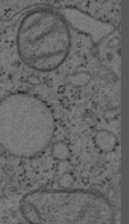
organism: Human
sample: HeLa cells